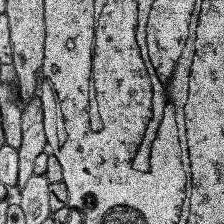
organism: Human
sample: Temporal Lobe